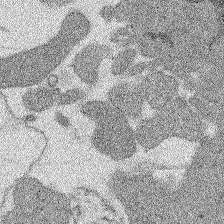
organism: Human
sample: HeLa cells